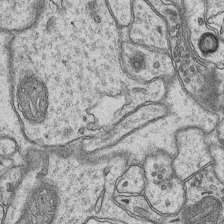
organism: Mouse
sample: CA1 Hippocampus